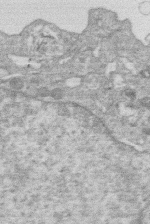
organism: Human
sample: Macrophage cells